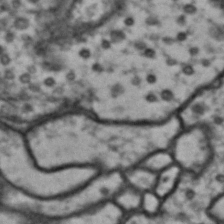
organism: Drosophila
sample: Brain